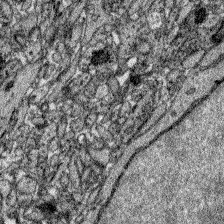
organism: Zebrafish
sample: Larval olfactory bulb